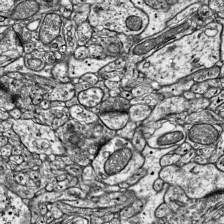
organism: Mouse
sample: Visual Cortex